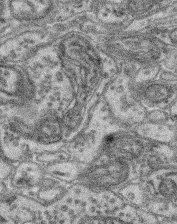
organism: Mouse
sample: Retina